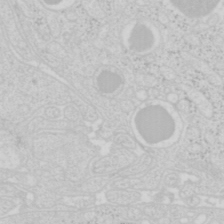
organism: Mouse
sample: Pancreas